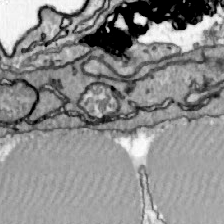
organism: Zebrafish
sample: Actinotrichia fibers